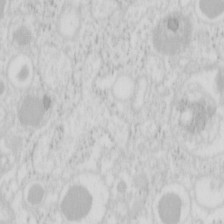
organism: Mouse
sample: Pancreas